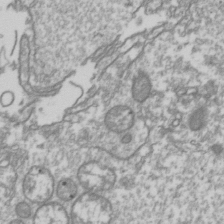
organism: Drosophila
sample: Cell division; meiosis; drosophila spermatocytes